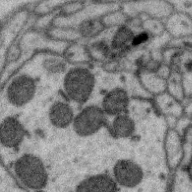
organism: Zebra finch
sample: Brain